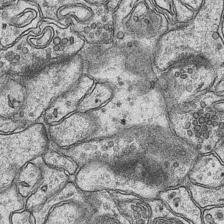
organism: Mouse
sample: CA1 Hippocampus